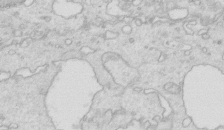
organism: Mouse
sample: Multiciliated cells